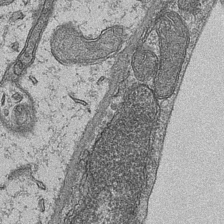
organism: Mouse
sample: CA1 Hippocampus